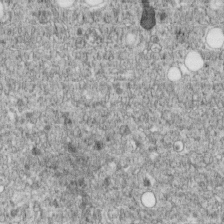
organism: C. elegans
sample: C. elegans embryo early stage